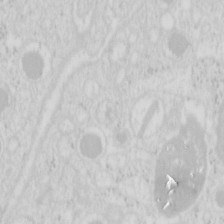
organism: Mouse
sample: Pancreas